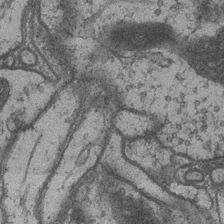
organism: Drosophila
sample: Optic medulla